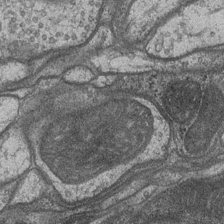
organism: Drosophila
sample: Optic medulla